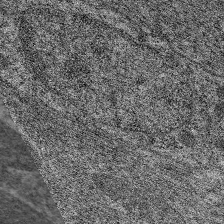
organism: C. elegans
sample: Pharynx